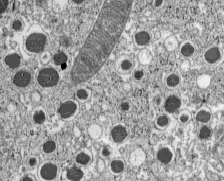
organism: C57BL Mouse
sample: Pancreatic islet